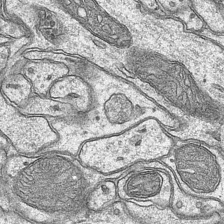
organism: Mouse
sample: CA1 Hippocampus